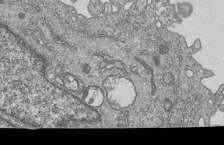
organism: Human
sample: MDA-MB-231 cells